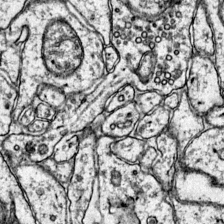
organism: Mouse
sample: Primary visual cortex